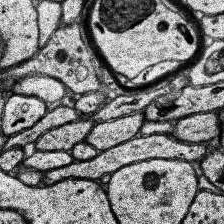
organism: Human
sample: Temporal Lobe